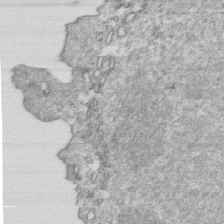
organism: Mouse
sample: Activated OT-1 CD8+ T cells